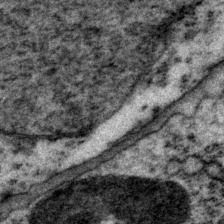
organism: P. pacificus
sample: Pharynx